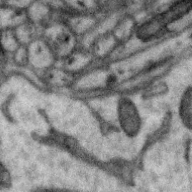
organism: Zebra finch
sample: Brain